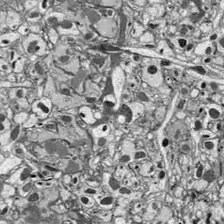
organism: Drosophila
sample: Optic lobe